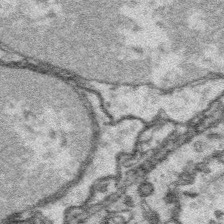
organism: Platynereis dumerilii